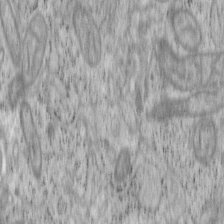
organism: Human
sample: HeLa cells